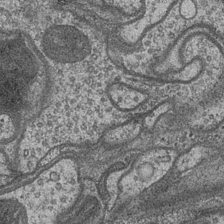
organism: Drosophila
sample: Optic medulla